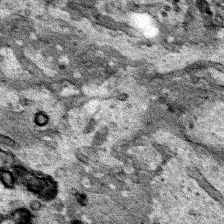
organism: Human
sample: Mitochondria in HCT116 cells